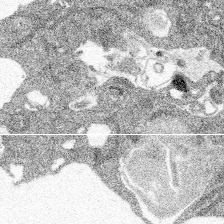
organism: Spongilla lacustris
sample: Multiple